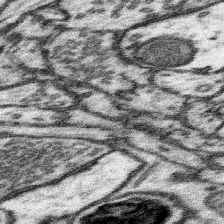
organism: Mouse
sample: Somatosensory cortex neuropil